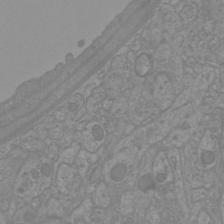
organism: Mouse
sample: Cortical neurons